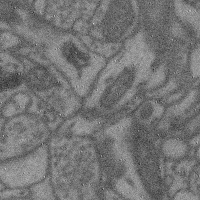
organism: Mouse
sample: Cerebral cortex